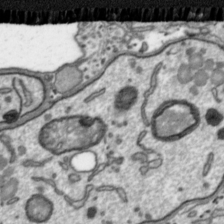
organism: Toxoplasma gondii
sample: Parasites in a vacuole inside a host cell